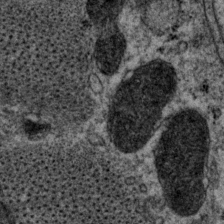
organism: P. pacificus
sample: Pharynx